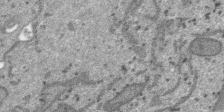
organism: Human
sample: Lung epithelial cells infected with SARS-CoV-2